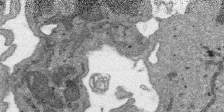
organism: Human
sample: Lung epithelial cells infected with SARS-CoV-2